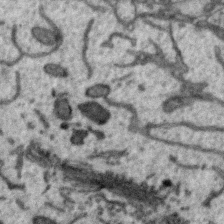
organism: Zebra finch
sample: Brain